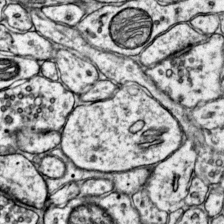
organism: Mouse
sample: Primary visual cortex